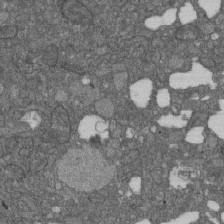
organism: Drosophila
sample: Nephrocyte